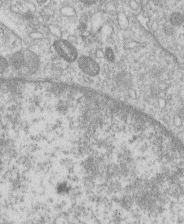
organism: Human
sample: Macrophage cells